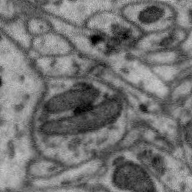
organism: Zebra finch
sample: Brain